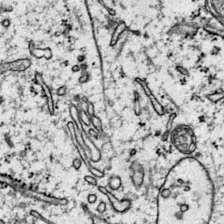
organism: Mouse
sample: Primary visual cortex